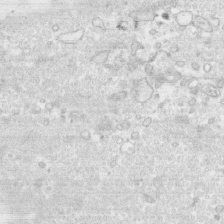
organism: Human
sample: CRL-1474